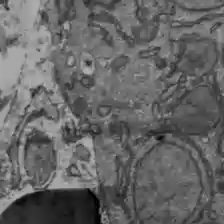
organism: C57BL Mouse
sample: Liver